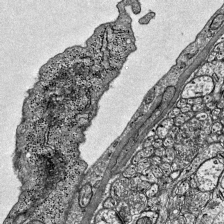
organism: Mouse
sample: Visual Cortex